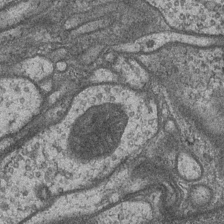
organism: Drosophila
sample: Optic medulla